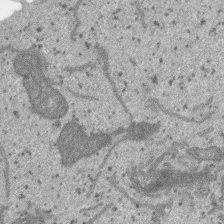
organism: Human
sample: Lung epithelial cells infected with SARS-CoV-2